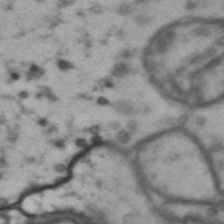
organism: Drosophila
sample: Brain